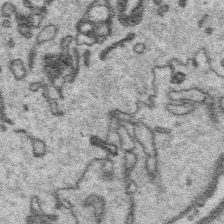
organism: Platynereis dumerilii